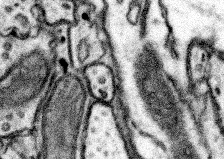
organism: Mouse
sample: Somatosensory cortex neuropil